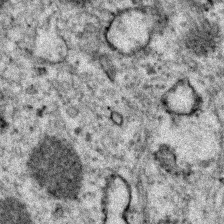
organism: Zebrafish